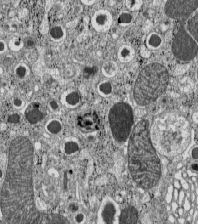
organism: C57BL Mouse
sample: Pancreatic islet